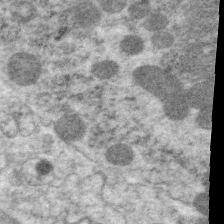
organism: C. elegans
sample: Pharynx